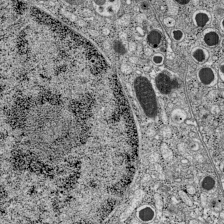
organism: C57BL Mouse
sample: Pancreatic islet